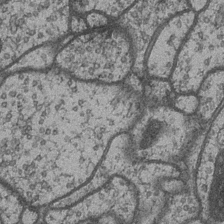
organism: Drosophila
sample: Optic medulla